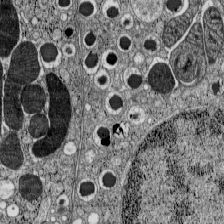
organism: C57BL Mouse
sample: Pancreatic islet